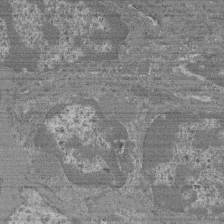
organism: Mouse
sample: Glomerulus